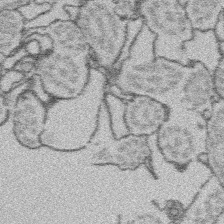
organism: Platynereis dumerilii